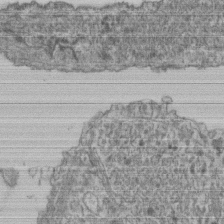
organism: Human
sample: Retinal organoid Rod and Cone cells